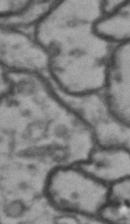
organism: Drosophila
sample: Brain